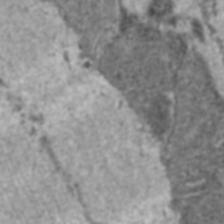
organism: C57BL Mouse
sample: Heart